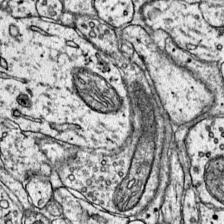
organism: Mouse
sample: Primary visual cortex